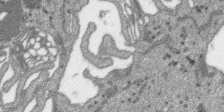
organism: Human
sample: Lung epithelial cells infected with SARS-CoV-2